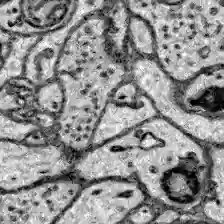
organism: Zebrafish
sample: Brain